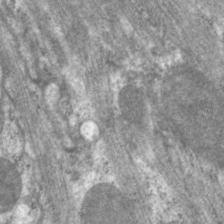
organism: C. elegans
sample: Pharynx